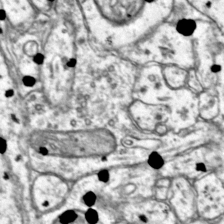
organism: Mouse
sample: Primary visual cortex